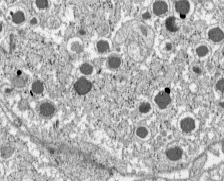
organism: C57BL Mouse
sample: Pancreatic islet